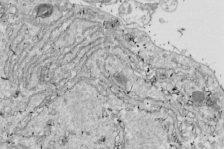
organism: Drosophila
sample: Cell division; meiosis; drosophila spermatocytes